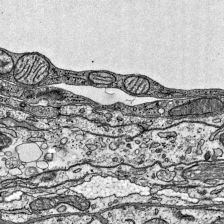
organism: Mouse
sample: Visual Cortex